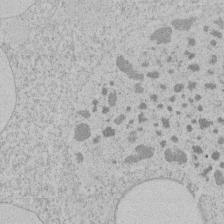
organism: Tetrahymena